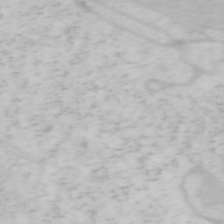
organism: Mouse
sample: OT-I killer T cells with ID8 ovarian cancer cells